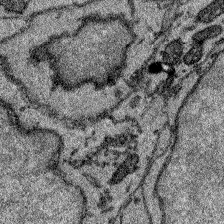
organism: Zebrafish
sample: Larval olfactory bulb